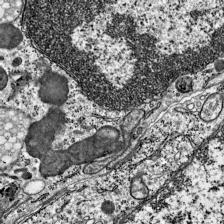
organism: Mouse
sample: Visual Cortex